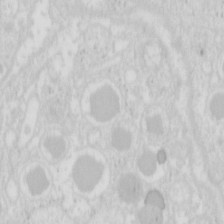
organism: Mouse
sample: Pancreas